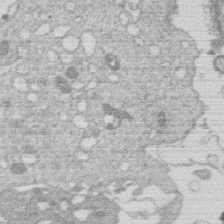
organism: Human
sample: Macrophage cells